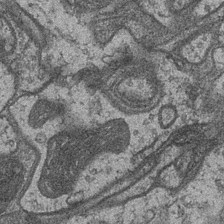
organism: Drosophila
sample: Optic medulla